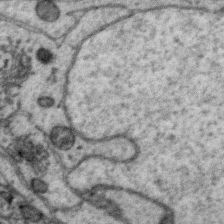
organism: Zebra finch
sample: Brain